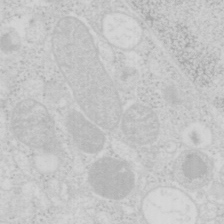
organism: Mouse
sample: Pancreas